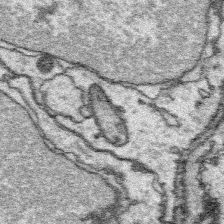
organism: Platynereis dumerilii